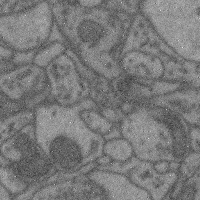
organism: Mouse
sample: Cerebral cortex